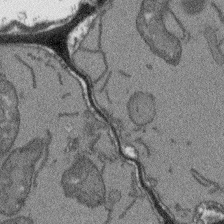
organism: Arabidopsis thaliana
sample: Root tip